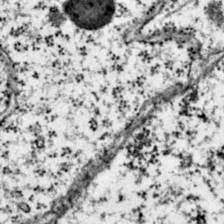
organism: Mouse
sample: Primary visual cortex